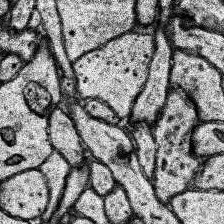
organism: Human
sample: Temporal Lobe